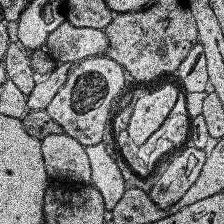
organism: Human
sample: Temporal Lobe